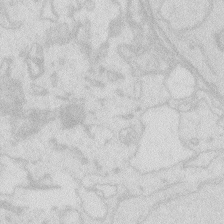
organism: Zebrafish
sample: Macrophage